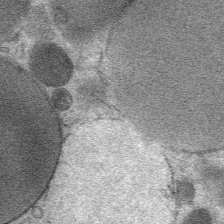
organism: Mouse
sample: Mouse Salivary gland